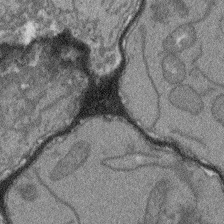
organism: Arabidopsis thaliana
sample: Root tip